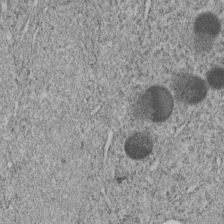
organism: C. elegans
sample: C. elegans embryo early stage